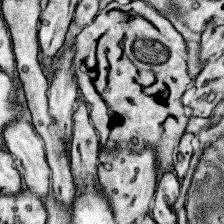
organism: Mouse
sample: Somatosensory cortex neuropil